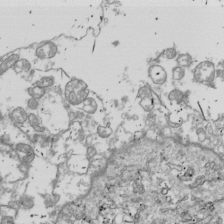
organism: Drosophila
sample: Cell division; meiosis; drosophila spermatocytes